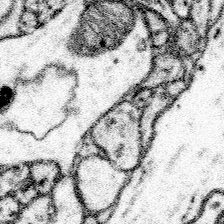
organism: Mouse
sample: Somatosensory cortex neuropil